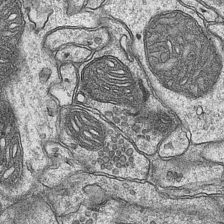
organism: Mouse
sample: CA1 Hippocampus